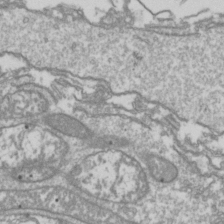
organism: Drosophila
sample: Cell division; meiosis; drosophila spermatocytes